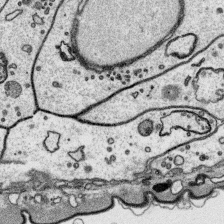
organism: Platynereis dumerilii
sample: Parapodia